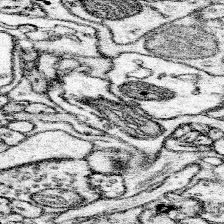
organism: Mouse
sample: Somatosensory cortex neuropil